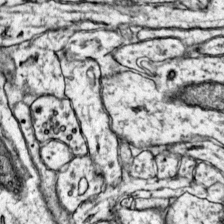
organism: Mouse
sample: Primary visual cortex